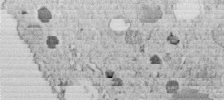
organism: C. elegans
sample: C. elegans embryo early stage